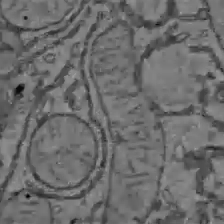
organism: C57BL Mouse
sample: Liver